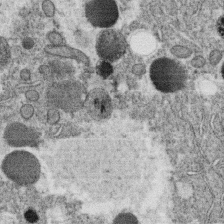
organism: C. elegans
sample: C. elegans oocyte; sperm cells